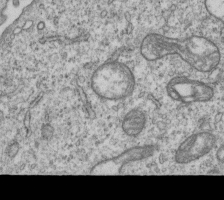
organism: Human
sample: MDA-MB-231 cells